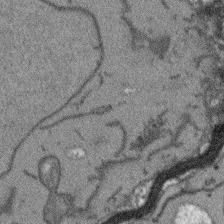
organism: Arabidopsis thaliana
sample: Root tip